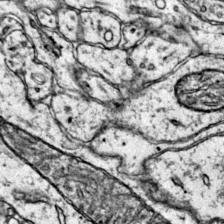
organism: Mouse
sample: Primary visual cortex